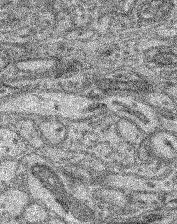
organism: Mouse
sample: Retina